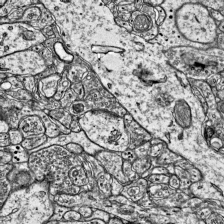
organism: Mouse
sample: Visual Cortex